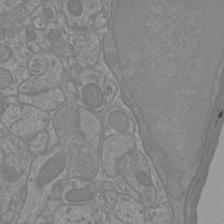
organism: Mouse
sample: Cortical neurons